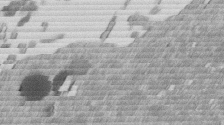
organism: Mouse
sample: Dividing mouse embryo 1 cell stage